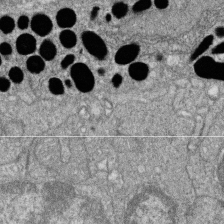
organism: Zebrafish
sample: Cilia; retinal pigment epithelium